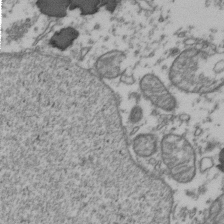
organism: Human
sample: Activated Jurkat CD4+ T cells